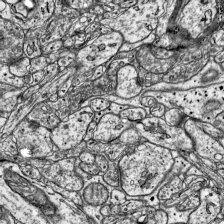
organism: Mouse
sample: Visual Cortex